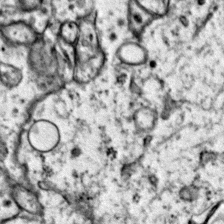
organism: Mouse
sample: Primary visual cortex